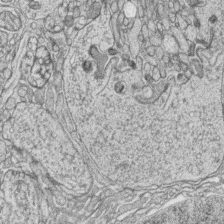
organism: Zebrafish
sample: synaptic ribbons in rod cells and cone cells